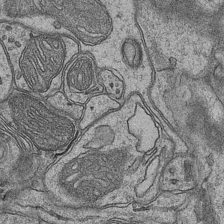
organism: Mouse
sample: CA1 Hippocampus